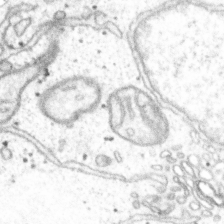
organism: Human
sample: HeLa cells